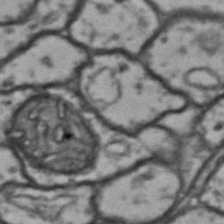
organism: Drosophila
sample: Brain